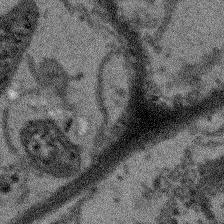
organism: Arabidopsis thaliana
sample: Root tip